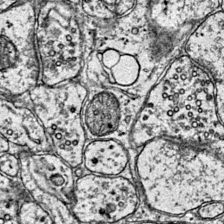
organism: Mouse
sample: Primary visual cortex